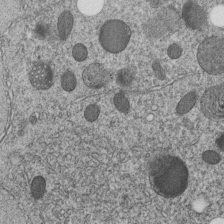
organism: C. elegans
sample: C. elegans embryo early stage